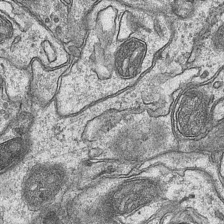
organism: Mouse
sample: CA1 Hippocampus